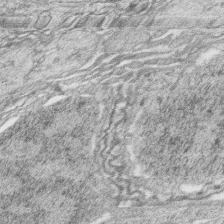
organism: Zebrafish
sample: synaptic ribbons in rod cells and cone cells